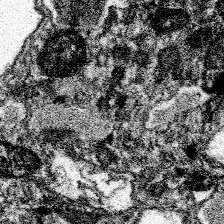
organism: Spongilla lacustris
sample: Neuroid cell